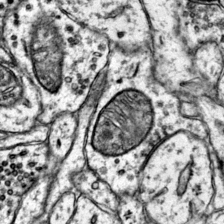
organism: Mouse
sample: Primary visual cortex